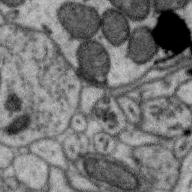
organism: Zebra finch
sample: Brain